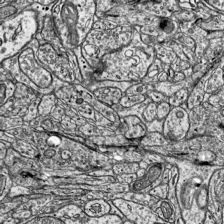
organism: Mouse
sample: Visual Cortex